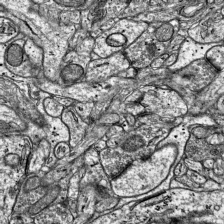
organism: Mouse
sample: Visual Cortex